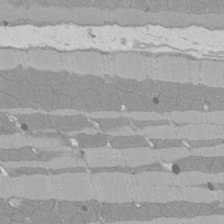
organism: Rat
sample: Left ventricle